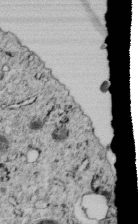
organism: C. elegans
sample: C. elegans embryo early stage